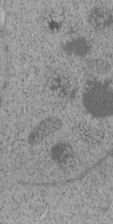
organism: C. elegans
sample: C. elegans embryo early stage